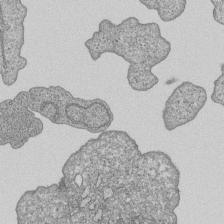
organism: Human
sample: MDA-MB-231 cells